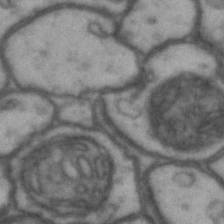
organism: Drosophila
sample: Brain